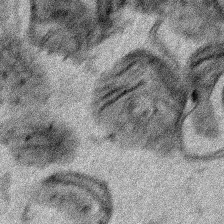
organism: Human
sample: Mitochondria in HCT116 cells